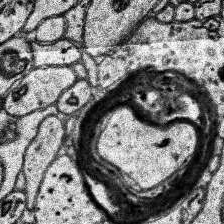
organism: Human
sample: Temporal Lobe